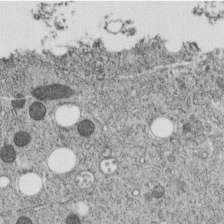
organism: C. elegans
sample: C. elegans embryo early stage